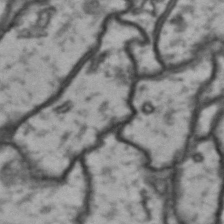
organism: Drosophila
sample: Brain